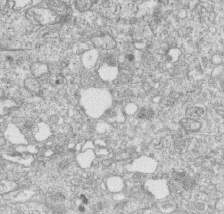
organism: Human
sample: HeLa cell HIV synapse